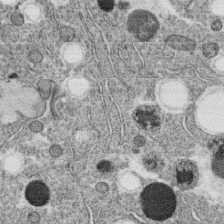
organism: C. elegans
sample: C. elegans oocyte; sperm cells